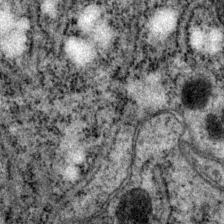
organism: P. pacificus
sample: Pharynx